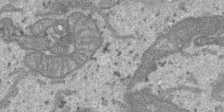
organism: Human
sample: Lung epithelial cells infected with SARS-CoV-2